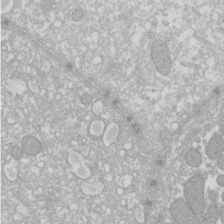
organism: Xenopus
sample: Cilia; centrioles in frog embryo cells